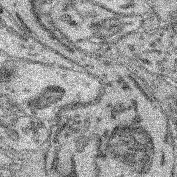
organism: Mouse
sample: Retina